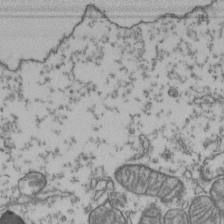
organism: Human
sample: Activated Jurkat CD4+ T cells